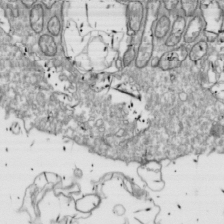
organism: Drosophila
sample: Cell division; meiosis; drosophila spermatocytes